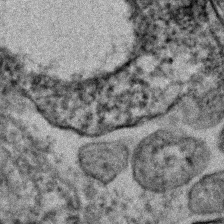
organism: Human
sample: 1205lu cells